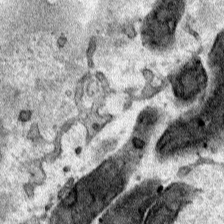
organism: Human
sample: Mitochondria in HCT116 cells